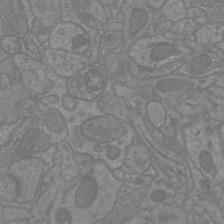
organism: Mouse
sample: Cortical neurons